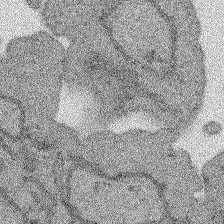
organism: Human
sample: HeLa cells